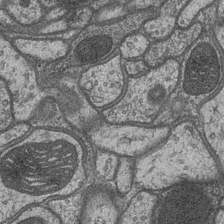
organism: Drosophila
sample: Optic medulla